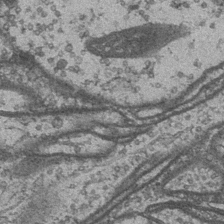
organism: Drosophila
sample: Optic medulla